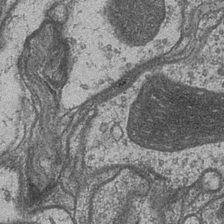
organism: Drosophila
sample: Optic medulla